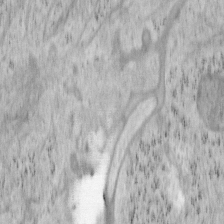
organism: Human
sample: HeLa cells